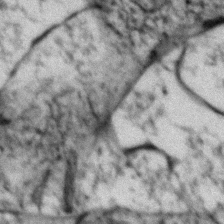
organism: Zebrafish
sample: Zebrafish embryo